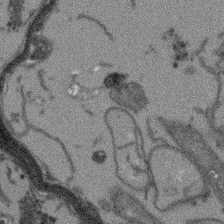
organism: Arabidopsis thaliana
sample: Root tip